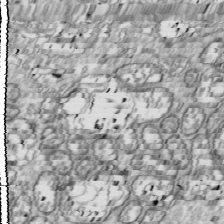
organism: Drosophila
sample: Cell division; meiosis; drosophila spermatocytes